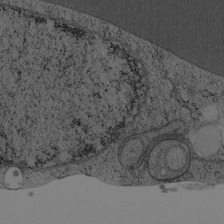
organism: African green monkey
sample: COS-7 cells